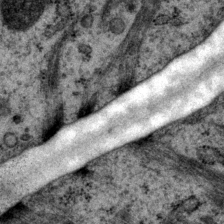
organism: P. pacificus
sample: Pharynx